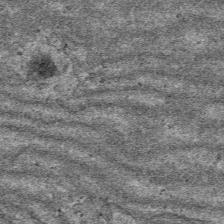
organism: Mouse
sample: Mouse hepatocytes